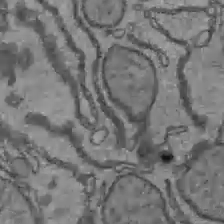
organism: C57BL Mouse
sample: Liver